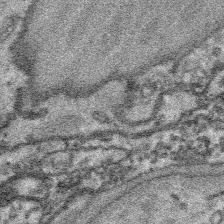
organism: Platynereis dumerilii